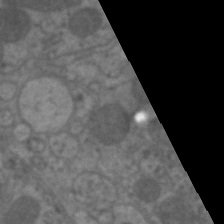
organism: C. elegans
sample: Pharynx